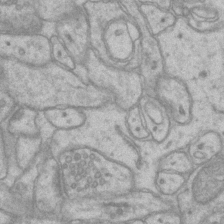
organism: Mouse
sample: CA1 Hippocampus